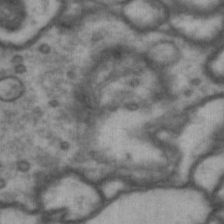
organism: Drosophila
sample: Brain